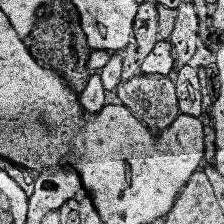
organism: Human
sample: Temporal Lobe